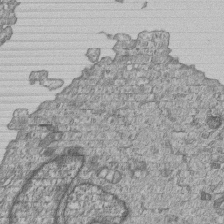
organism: Human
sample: MDA-MB-231 cells